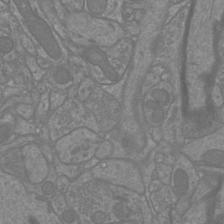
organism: Mouse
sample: Cortical neurons